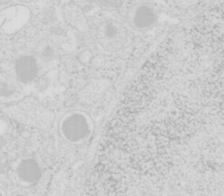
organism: Mouse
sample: Pancreas